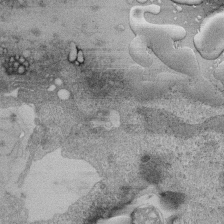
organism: Human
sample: Retinal organoid Rod and Cone cells